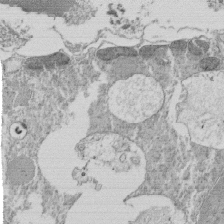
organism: Tetrahymena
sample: Cilia in tetrahymena